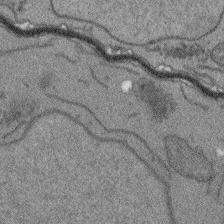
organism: Arabidopsis thaliana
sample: Root tip